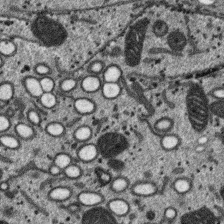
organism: Human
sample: Lung epithelial cells infected with SARS-CoV-2